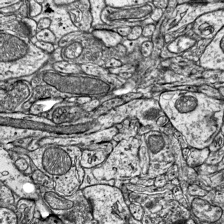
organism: Mouse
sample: Visual Cortex